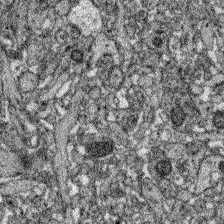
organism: Zebrafish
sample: Larval olfactory bulb